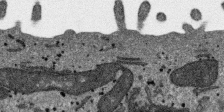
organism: Human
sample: Lung epithelial cells, uninfected (mock) control